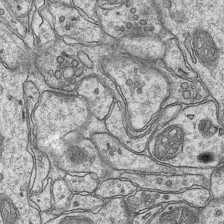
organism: Mouse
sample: CA1 Hippocampus